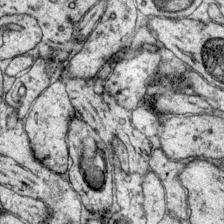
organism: Mouse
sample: Primary visual cortex